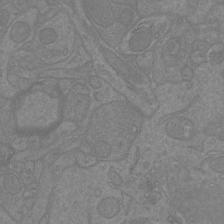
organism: Mouse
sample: Cortical neurons